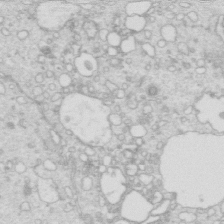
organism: Mouse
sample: Multiciliated cells